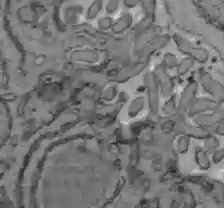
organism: C57BL Mouse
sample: Liver